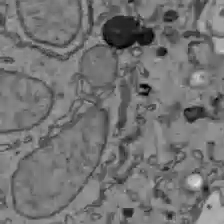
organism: C57BL Mouse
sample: Liver